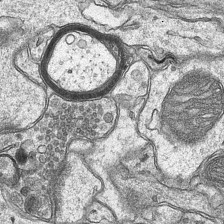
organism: Mouse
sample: CA1 Hippocampus